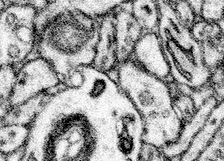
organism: Mouse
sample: Somatosensory cortex neuropil